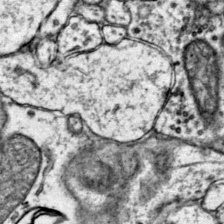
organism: Mouse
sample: Primary visual cortex